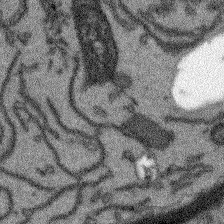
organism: Arabidopsis thaliana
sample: Root tip